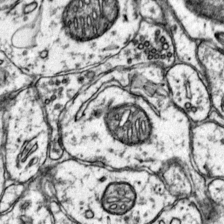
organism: Mouse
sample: Primary visual cortex